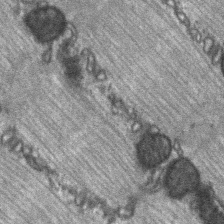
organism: C57BL Mouse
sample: Soleus